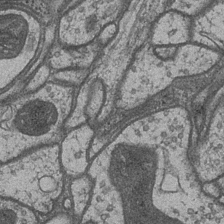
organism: Drosophila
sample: Optic medulla